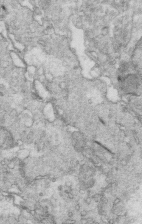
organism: Mouse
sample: Multiciliated cells